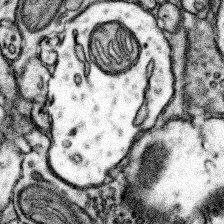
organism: Mouse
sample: Somatosensory cortex neuropil